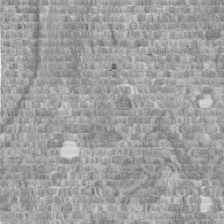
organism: Human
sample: Centriole in fibroblast cells